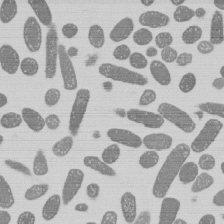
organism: E. coli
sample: Bacterial nucleoid